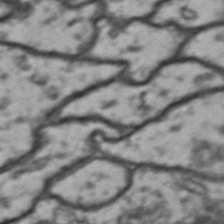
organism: Drosophila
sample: Brain